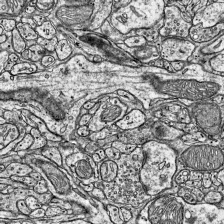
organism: Mouse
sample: Visual Cortex